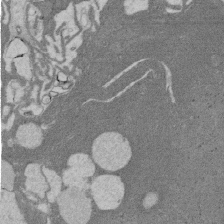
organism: Rat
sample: Salivary granule